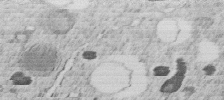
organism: C. elegans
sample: C. elegans embryo early stage